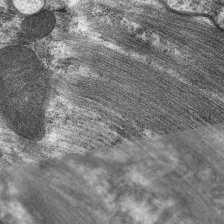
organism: C. elegans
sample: Pharynx